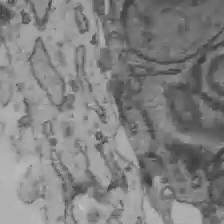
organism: C57BL Mouse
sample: Liver